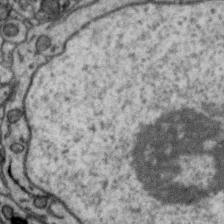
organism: Zebra finch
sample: Brain